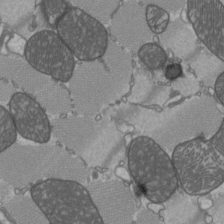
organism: C57BL Mouse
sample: Heart